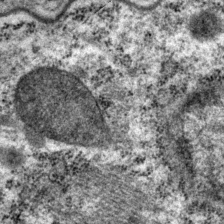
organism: P. pacificus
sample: Pharynx